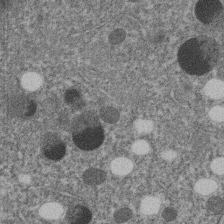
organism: C. elegans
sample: C. elegans embryo early stage